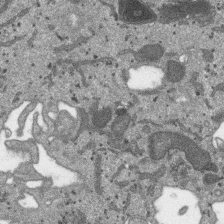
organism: Human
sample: Lung epithelial cells infected with SARS-CoV-2